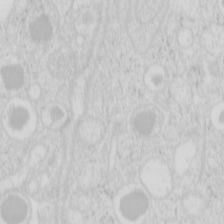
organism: Mouse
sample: Pancreas